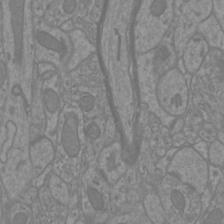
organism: Mouse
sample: Cortical neurons